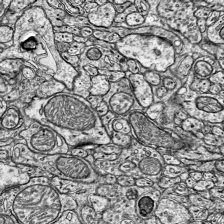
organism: Mouse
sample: Visual Cortex